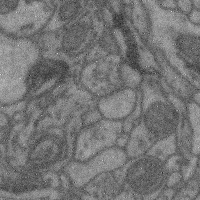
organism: Mouse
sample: Cerebral cortex